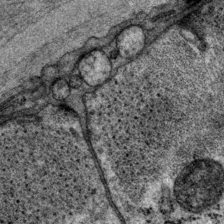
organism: P. pacificus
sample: Pharynx